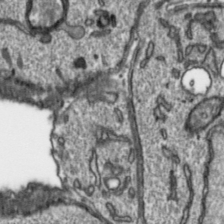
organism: Toxoplasma gondii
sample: Parasites in a vacuole inside a host cell